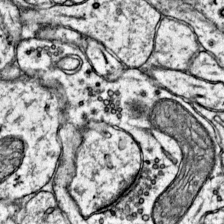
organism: Mouse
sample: Primary visual cortex